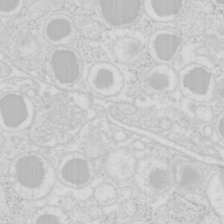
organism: Mouse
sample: Pancreas